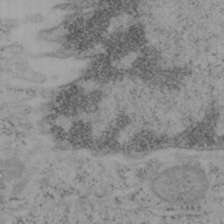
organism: Mouse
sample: OT-I killer T cells with ID8 ovarian cancer cells